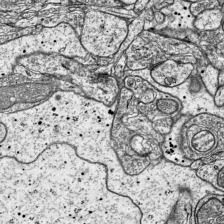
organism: Mouse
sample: Visual Cortex